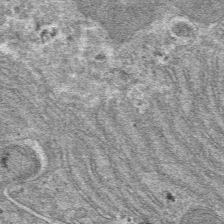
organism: Mouse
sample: Mouse hepatocytes